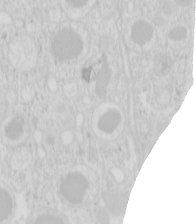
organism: Mouse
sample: Pancreas